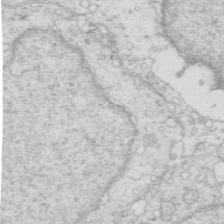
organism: Mouse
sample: Multiciliated cells